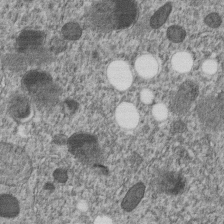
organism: C. elegans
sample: C. elegans embryo early stage